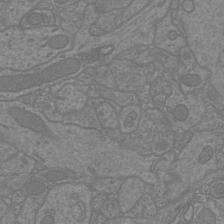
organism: Mouse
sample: Cortical neurons